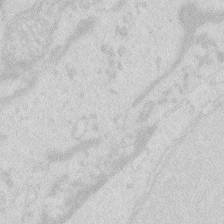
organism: Zebrafish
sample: Macrophage